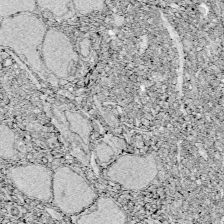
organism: Zebrafish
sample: Whole-Brain